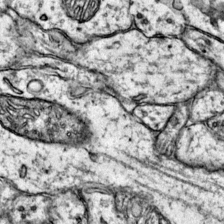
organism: Mouse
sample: Primary visual cortex